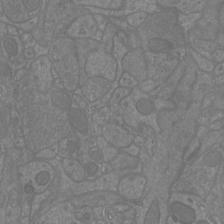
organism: Mouse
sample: Cortical neurons